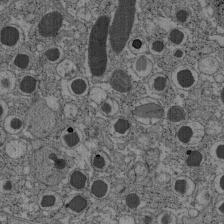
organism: C57BL Mouse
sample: Pancreatic islet